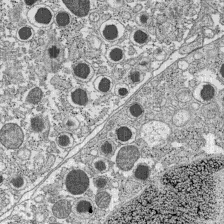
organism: C57BL Mouse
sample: Pancreatic islet